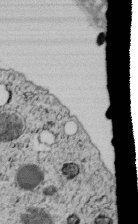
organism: C. elegans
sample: C. elegans embryo early stage